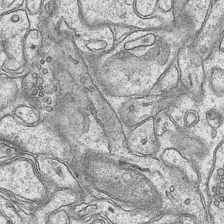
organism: Mouse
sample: CA1 Hippocampus